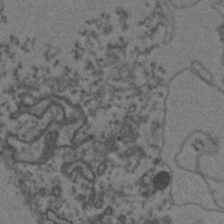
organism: Zebrafish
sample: Zebrafish embryo